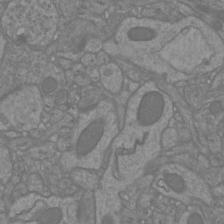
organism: Mouse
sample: Cortical neurons